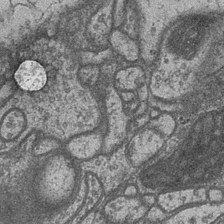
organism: Drosophila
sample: Optic medulla